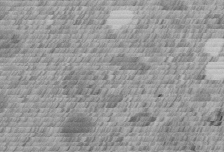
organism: C. elegans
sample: C. elegans embryo early stage